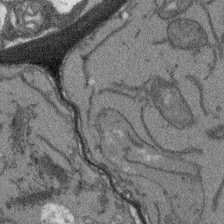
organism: Arabidopsis thaliana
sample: Root tip